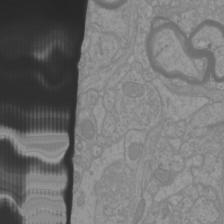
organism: Mouse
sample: Cortical neurons